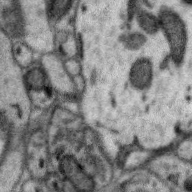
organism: Zebra finch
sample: Brain